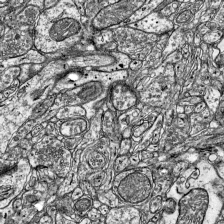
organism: Mouse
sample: Visual Cortex